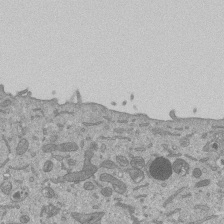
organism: Mouse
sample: ED-1 cell nuclei; centrioles